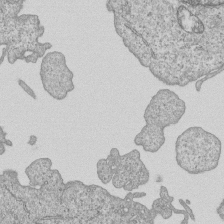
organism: Human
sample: MDA-MB-231 cells